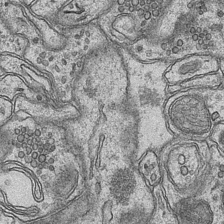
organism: Mouse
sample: CA1 Hippocampus